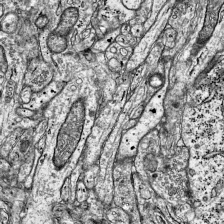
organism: Mouse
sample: Visual Cortex